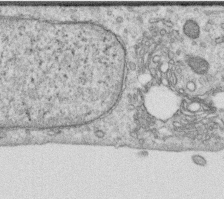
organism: Human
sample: Centriole in RPE cells